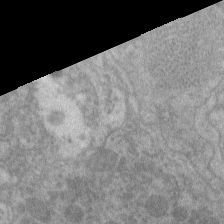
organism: C. elegans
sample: Pharynx